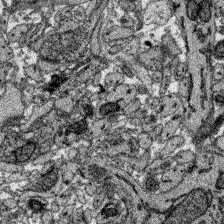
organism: Zebrafish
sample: Larval olfactory bulb